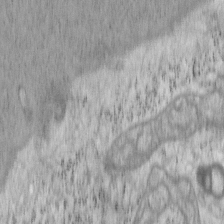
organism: Human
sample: HeLa cells